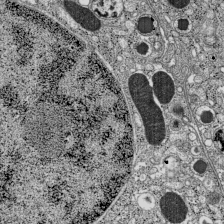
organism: C57BL Mouse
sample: Pancreatic islet